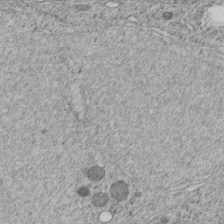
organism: C. elegans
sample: C. elegans embryo early stage